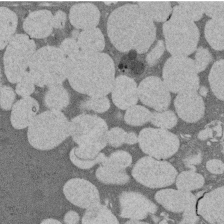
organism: Rat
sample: Salivary granule